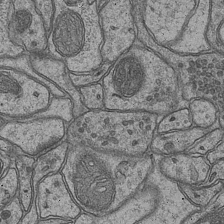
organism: Mouse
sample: CA1 Hippocampus